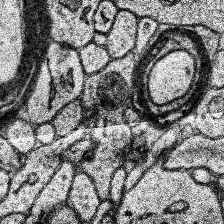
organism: Human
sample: Temporal Lobe